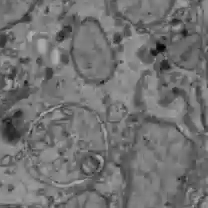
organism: C57BL Mouse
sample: Liver